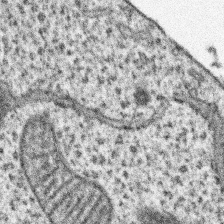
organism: Human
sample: HeLa cells